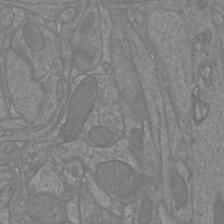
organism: Mouse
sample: Cortical neurons